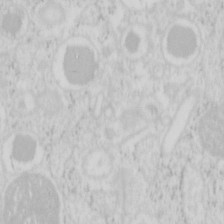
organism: Mouse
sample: Pancreas